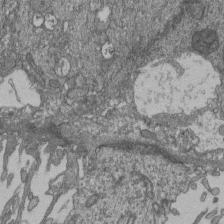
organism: Human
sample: Retinal organoid Rod and Cone cells